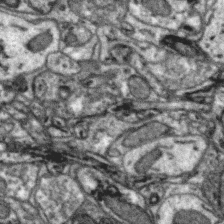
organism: Zebra finch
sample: Brain